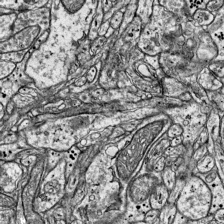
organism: Mouse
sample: Visual Cortex